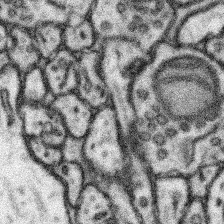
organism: Mouse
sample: Somatosensory cortex neuropil